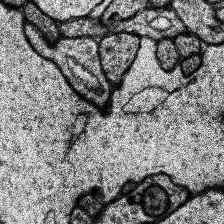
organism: Human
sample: Temporal Lobe